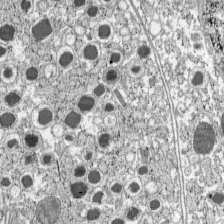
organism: C57BL Mouse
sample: Pancreatic islet